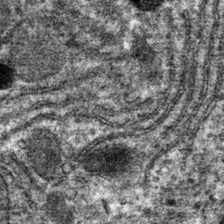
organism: Mouse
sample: Mouse hepatocytes